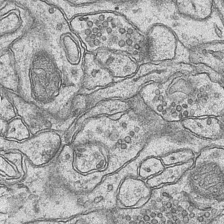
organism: Mouse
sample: CA1 Hippocampus